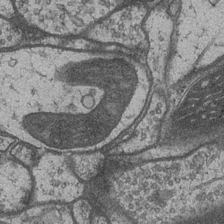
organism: Drosophila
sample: Optic medulla